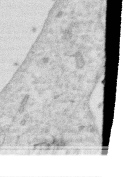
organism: Human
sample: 1205lu cells